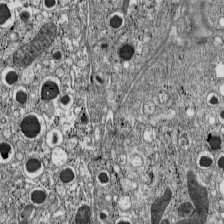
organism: C57BL Mouse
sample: Pancreatic islet